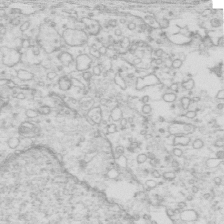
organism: Mouse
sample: Multiciliated cells